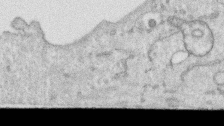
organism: Human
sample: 1205lu cells